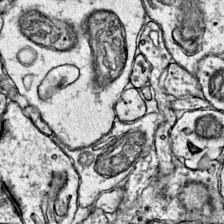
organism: Mouse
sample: Primary visual cortex